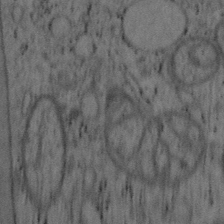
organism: Human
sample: HeLa cells